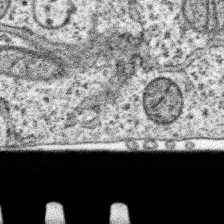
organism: Human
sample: HeLa cells